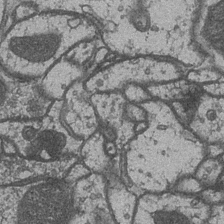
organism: Drosophila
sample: Optic medulla